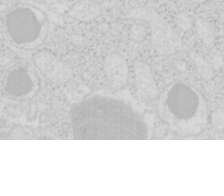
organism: Mouse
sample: Pancreas